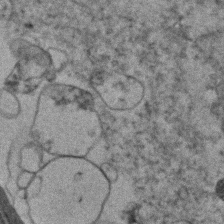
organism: Human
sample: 1205lu cells